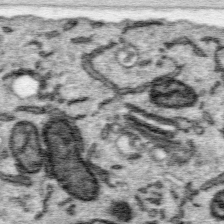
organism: Human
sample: HeLa cells